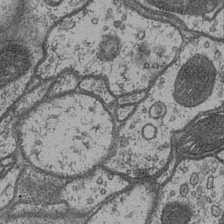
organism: Drosophila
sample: Optic medulla